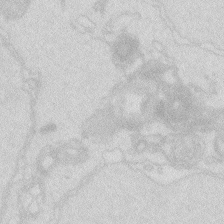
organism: Zebrafish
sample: Macrophage